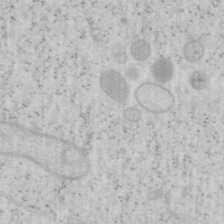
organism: Human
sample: HeLa cells